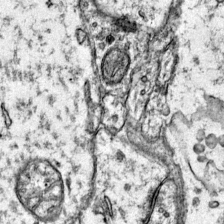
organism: Mouse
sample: Primary visual cortex